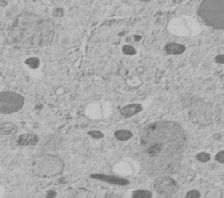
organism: C. elegans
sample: C. elegans embryo early stage